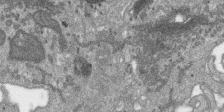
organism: Human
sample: Lung epithelial cells infected with SARS-CoV-2